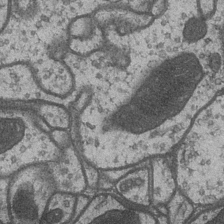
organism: Drosophila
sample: Optic medulla